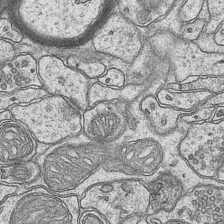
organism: Mouse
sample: CA1 Hippocampus